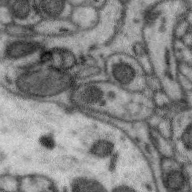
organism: Zebra finch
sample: Brain